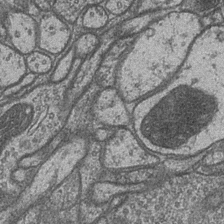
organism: Drosophila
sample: Optic medulla